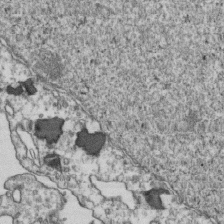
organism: Human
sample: Activated Jurkat CD4+ T cells